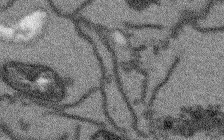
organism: Arabidopsis thaliana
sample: Root tip